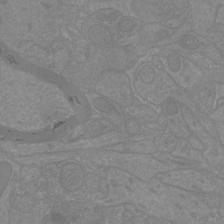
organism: Mouse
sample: Cortical neurons